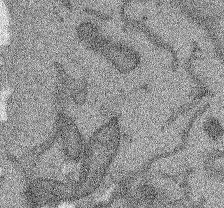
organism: Human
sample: HeLa cells